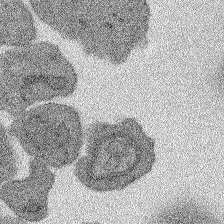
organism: Human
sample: HeLa cells